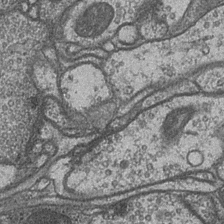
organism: Drosophila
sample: Optic medulla